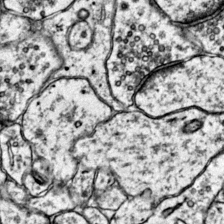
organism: Mouse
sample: Primary visual cortex